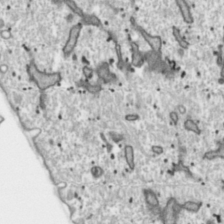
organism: Toxoplasma gondii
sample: Parasites in a vacuole inside a host cell